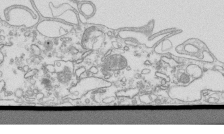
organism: Mouse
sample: Macrophages